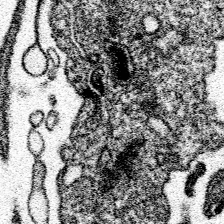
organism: Spongilla lacustris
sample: Neuroid cell